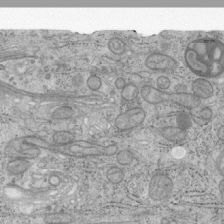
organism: Human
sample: HeLa cells